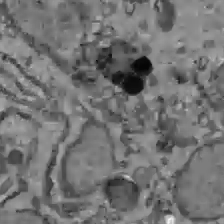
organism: C57BL Mouse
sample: Liver